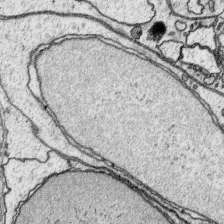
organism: Platynereis dumerilii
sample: Parapodia